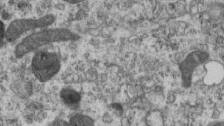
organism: Mouse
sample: Centriole in ependymal cells